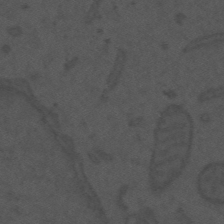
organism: Mouse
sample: Suprachiasmatic nucleus